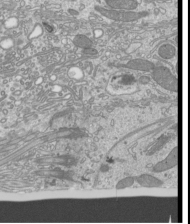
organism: Mouse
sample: Cilia; mouse epididymis